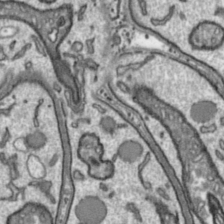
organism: Toxoplasma gondii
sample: Parasites in a vacuole inside a host cell